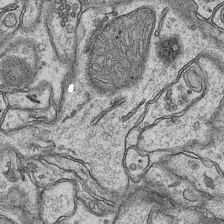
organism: Mouse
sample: CA1 Hippocampus